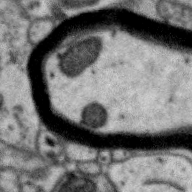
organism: Zebra finch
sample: Brain